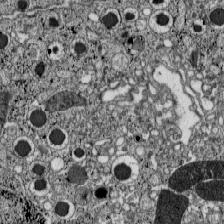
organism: C57BL Mouse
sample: Pancreatic islet